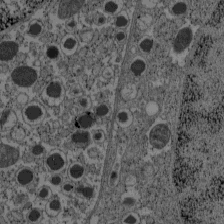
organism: C57BL Mouse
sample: Pancreatic islet